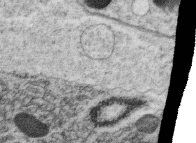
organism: C. elegans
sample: C. elegans oocyte; sperm cells